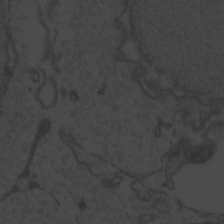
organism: Zebrafish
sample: Macrophage infected with Toxoplasma gondii